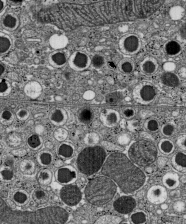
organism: C57BL Mouse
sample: Pancreatic islet